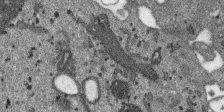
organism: Human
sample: Lung epithelial cells infected with SARS-CoV-2